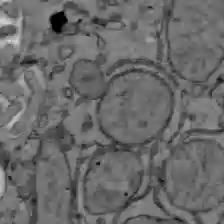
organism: C57BL Mouse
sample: Liver